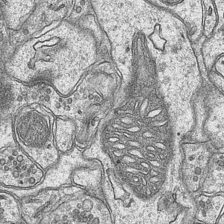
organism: Mouse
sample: CA1 Hippocampus